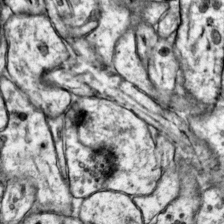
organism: Mouse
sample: Primary visual cortex